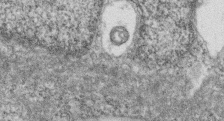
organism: Zebrafish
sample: Cilia; retinal pigment epithelium